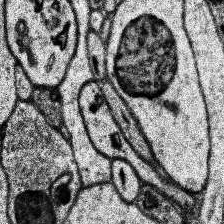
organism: Human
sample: Temporal Lobe